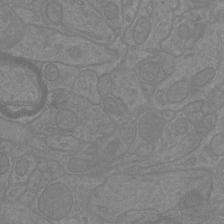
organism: Mouse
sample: Cortical neurons